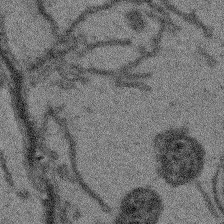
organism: Arabidopsis thaliana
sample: Root tip